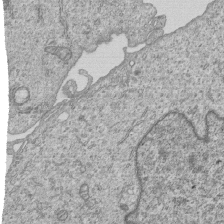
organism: Human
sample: MDA-MB-231 cells